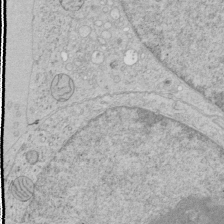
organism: Human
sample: Mitochondria in HCT116 cells